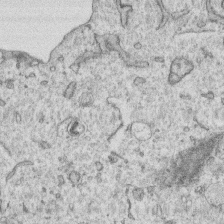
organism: Human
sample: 1205lu cells